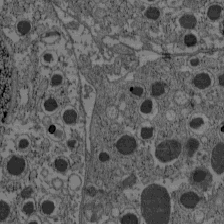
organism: C57BL Mouse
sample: Pancreatic islet